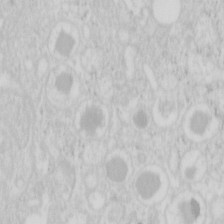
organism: Mouse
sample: Pancreas